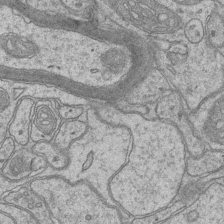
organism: Mouse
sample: CA1 Hippocampus